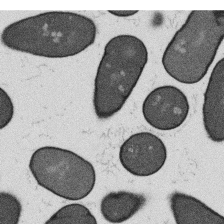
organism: B. subtilis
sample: Bacterial spore